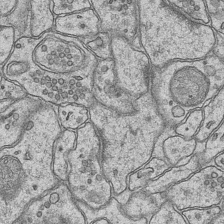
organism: Mouse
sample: CA1 Hippocampus